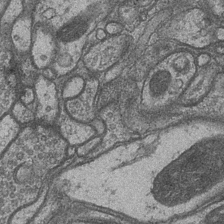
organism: Drosophila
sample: Optic medulla